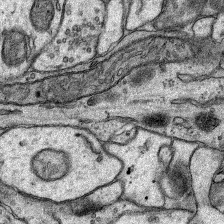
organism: Rat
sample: Hippocampus